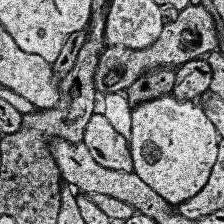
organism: Human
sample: Temporal Lobe